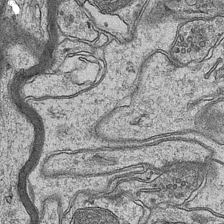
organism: Mouse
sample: CA1 Hippocampus